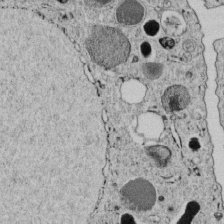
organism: C. elegans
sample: C. elegans embryo early stage